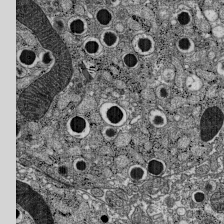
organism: C57BL Mouse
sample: Pancreatic islet